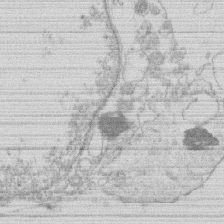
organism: Human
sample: Macrophage cells